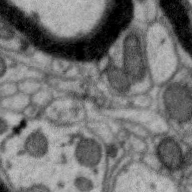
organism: Zebra finch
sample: Brain